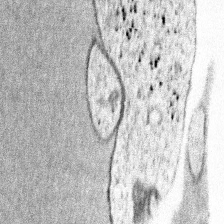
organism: Human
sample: HeLa cells